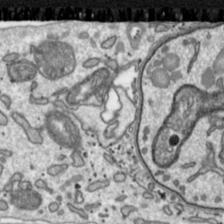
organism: Toxoplasma gondii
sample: Parasites in a vacuole inside a host cell